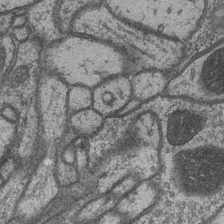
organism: Drosophila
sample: Optic medulla